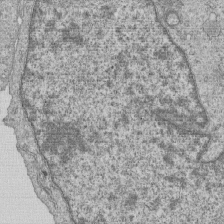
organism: Human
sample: MDA-MB-231 cells